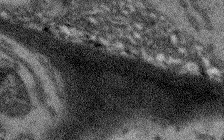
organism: Arabidopsis thaliana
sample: Root tip